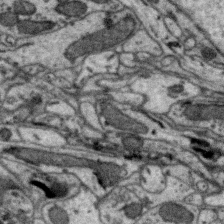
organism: Zebra finch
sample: Brain